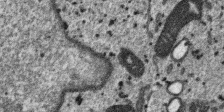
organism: Human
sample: Lung epithelial cells infected with SARS-CoV-2